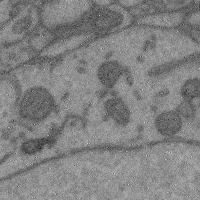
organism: Mouse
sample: Cerebral cortex